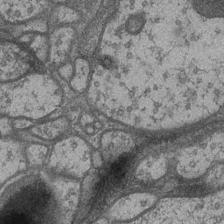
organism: Drosophila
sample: Optic medulla